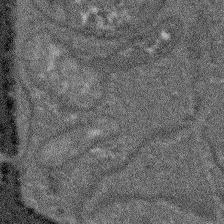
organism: Arabidopsis thaliana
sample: Root tip